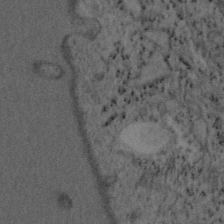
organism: Human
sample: HeLa cells